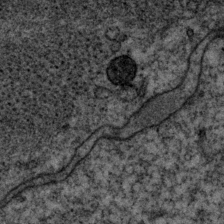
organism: P. pacificus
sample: Pharynx